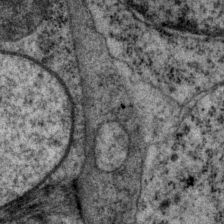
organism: P. pacificus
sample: Pharynx